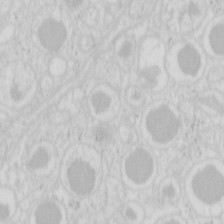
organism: Mouse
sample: Pancreas